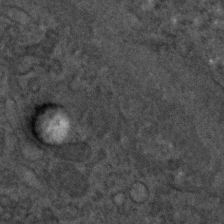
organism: C. elegans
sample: C. elegans embryo